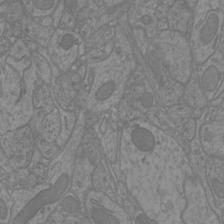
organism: Mouse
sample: Cortical neurons